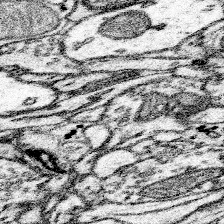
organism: Mouse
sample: Somatosensory cortex neuropil